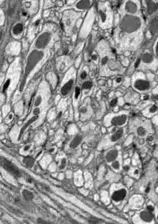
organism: Drosophila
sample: Optic lobe